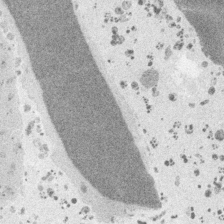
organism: Embia sp.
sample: Silk gland